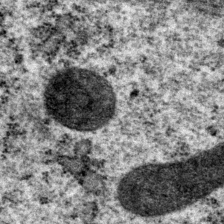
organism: P. pacificus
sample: Pharynx